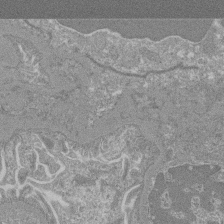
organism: Mouse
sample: Glomerulus